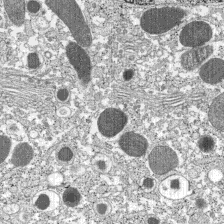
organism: C57BL Mouse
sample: Pancreatic islet